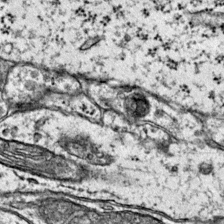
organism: Mouse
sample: Primary visual cortex